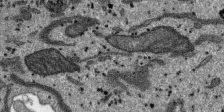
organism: Human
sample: Lung epithelial cells, uninfected (mock) control